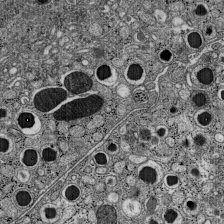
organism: C57BL Mouse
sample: Pancreatic islet